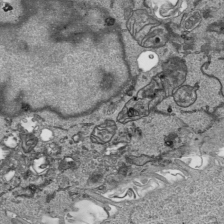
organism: Human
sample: Mitochondria in HCT116 cells